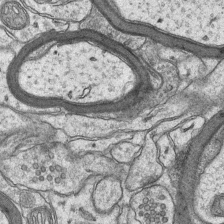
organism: Mouse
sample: CA1 Hippocampus